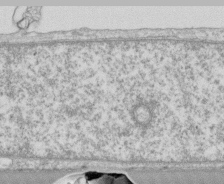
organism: Human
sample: CRL-1474